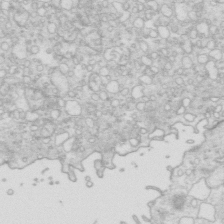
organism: Mouse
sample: Multiciliated cells